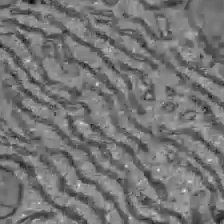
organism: C57BL Mouse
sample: Liver